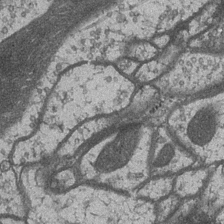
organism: Drosophila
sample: Optic medulla